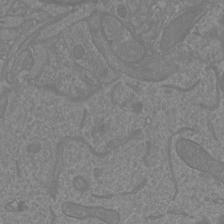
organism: Mouse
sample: Cortical neurons